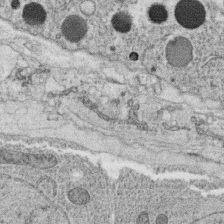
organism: C. elegans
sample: C. elegans oocyte; sperm cells